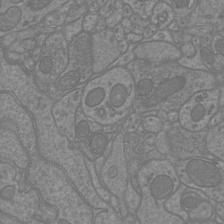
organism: Mouse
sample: Cortical neurons